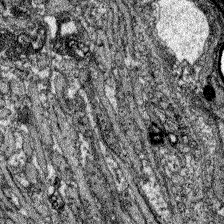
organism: Zebrafish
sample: Larval olfactory bulb